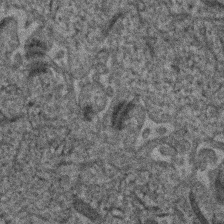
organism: Human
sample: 1205lu cells